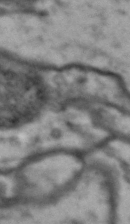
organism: Drosophila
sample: Brain